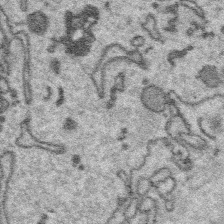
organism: Platynereis dumerilii